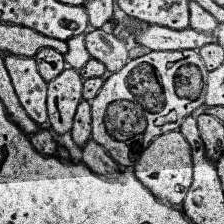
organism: Human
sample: Temporal Lobe